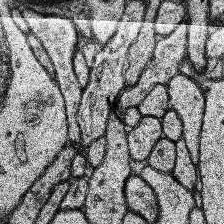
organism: Human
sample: Temporal Lobe